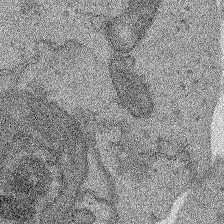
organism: Human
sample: HeLa cells